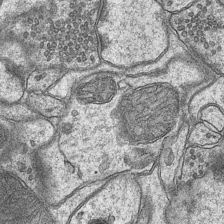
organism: Mouse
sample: CA1 Hippocampus